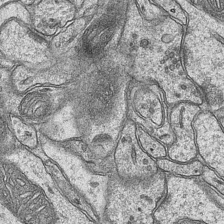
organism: Mouse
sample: CA1 Hippocampus